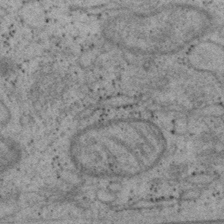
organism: Human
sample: HeLa cells